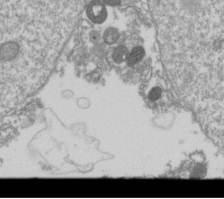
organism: Drosophila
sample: Cell division; meiosis; drosophila spermatocytes